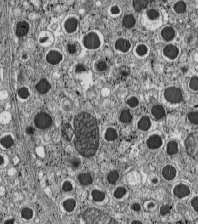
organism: C57BL Mouse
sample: Pancreatic islet